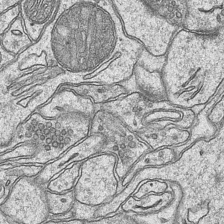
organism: Mouse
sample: CA1 Hippocampus